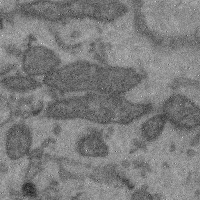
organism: Mouse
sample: Cerebral cortex